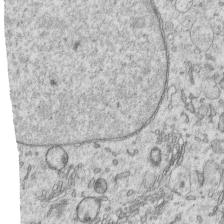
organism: Human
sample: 1205lu cells